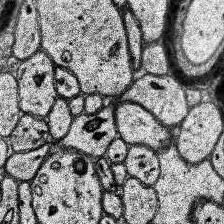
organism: Human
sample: Temporal Lobe